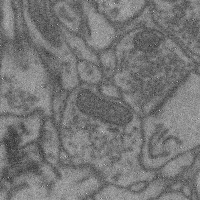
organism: Mouse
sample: Cerebral cortex